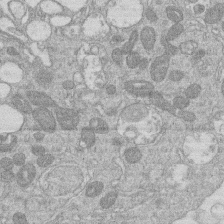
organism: Human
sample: Macrophage cells